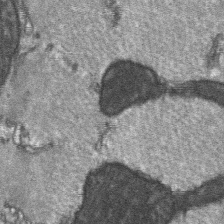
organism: C57BL Mouse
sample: Soleus